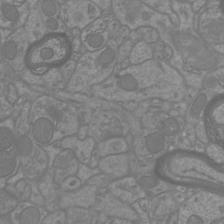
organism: Mouse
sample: Cortical neurons